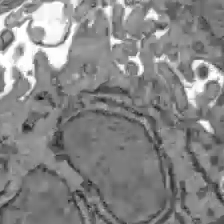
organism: C57BL Mouse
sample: Liver